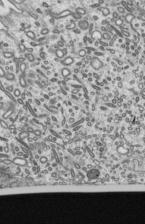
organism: Mouse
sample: Mouse epididymis efferent ductule cilia